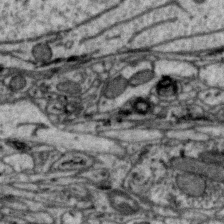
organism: Zebra finch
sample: Brain